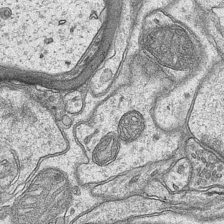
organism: Mouse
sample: CA1 Hippocampus